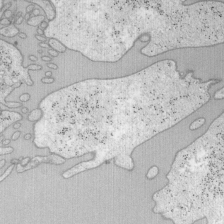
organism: Mouse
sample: OT-I killer T cells with ID8 ovarian cancer cells